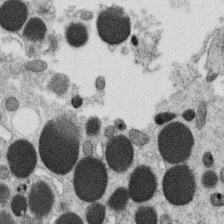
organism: C. elegans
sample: C. elegans oocyte; sperm cells